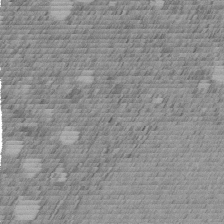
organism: C. elegans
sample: C. elegans embryo early stage